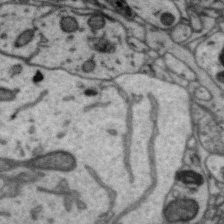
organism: Zebra finch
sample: Brain